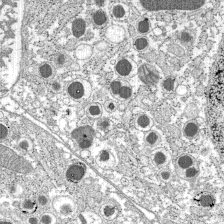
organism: C57BL Mouse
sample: Pancreatic islet